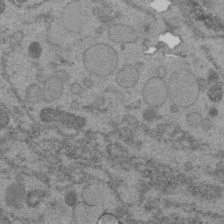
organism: C. elegans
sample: C. elegans embryo early stage